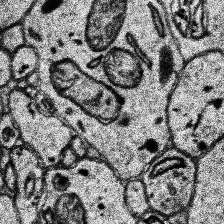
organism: Human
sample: Temporal Lobe